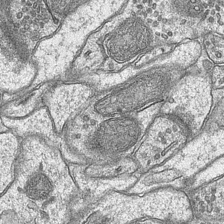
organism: Mouse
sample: CA1 Hippocampus